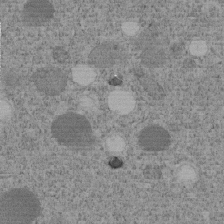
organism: C. elegans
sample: C. elegans embryo early stage